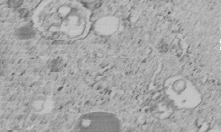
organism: C. elegans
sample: C. elegans embryo early stage